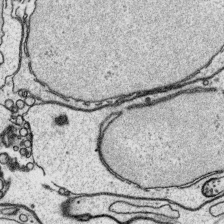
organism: Platynereis dumerilii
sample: Parapodia